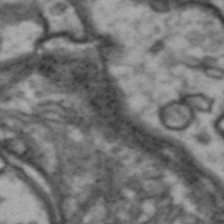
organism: Drosophila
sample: Brain